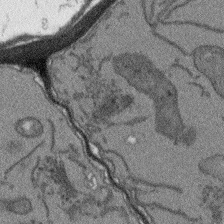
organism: Arabidopsis thaliana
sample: Root tip